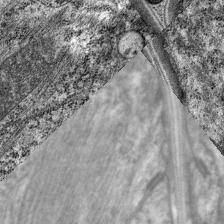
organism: C. elegans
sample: Pharynx